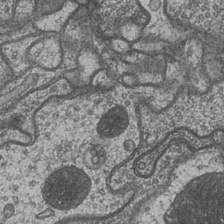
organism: Drosophila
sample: Optic medulla